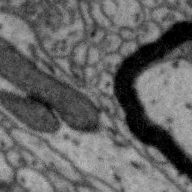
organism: Zebra finch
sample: Brain